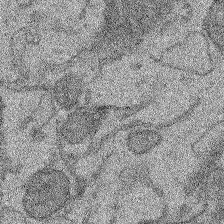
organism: Human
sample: HeLa cells